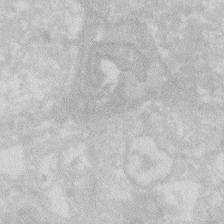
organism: Zebrafish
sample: Macrophage